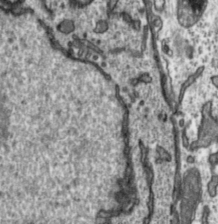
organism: Toxoplasma gondii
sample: Parasites in a vacuole inside a host cell